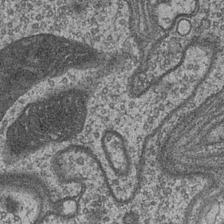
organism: Drosophila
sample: Optic medulla